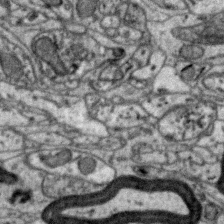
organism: Zebra finch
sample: Brain